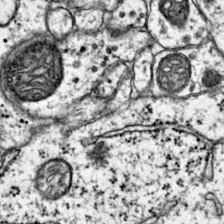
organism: Mouse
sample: Primary visual cortex